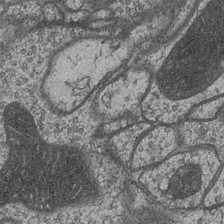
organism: Drosophila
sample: Optic medulla